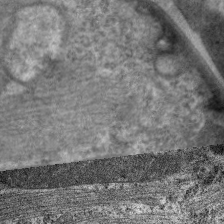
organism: C. elegans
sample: Pharynx